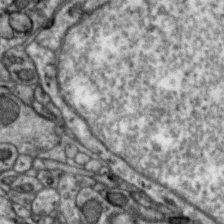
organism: Zebra finch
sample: Brain